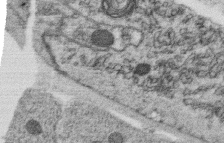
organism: C. elegans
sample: C. elegans oocyte; sperm cells